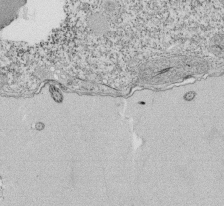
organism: Tetrahymena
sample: Cilia in tetrahymena